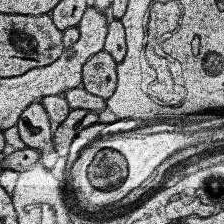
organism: Human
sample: Temporal Lobe